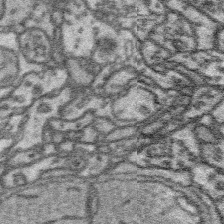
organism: Platynereis dumerilii